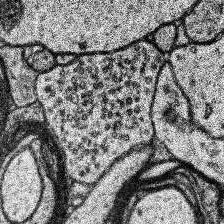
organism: Human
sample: Temporal Lobe